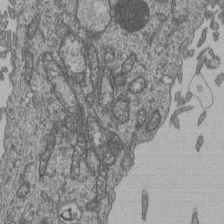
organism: Human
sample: Retinal organoid Rod and Cone cells